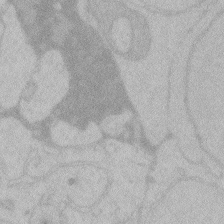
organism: Zebrafish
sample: Macrophage infected with Toxoplasma gondii